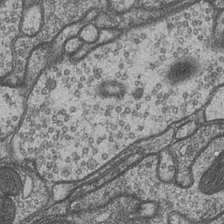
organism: Drosophila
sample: Optic medulla